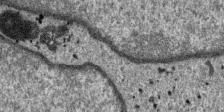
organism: Human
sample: Lung epithelial cells, uninfected (mock) control